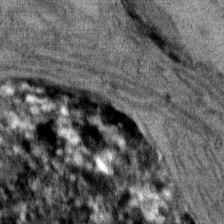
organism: Mouse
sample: Mouse Salivary gland